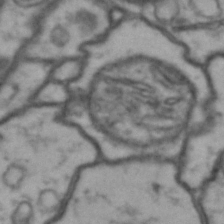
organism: Drosophila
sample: Brain